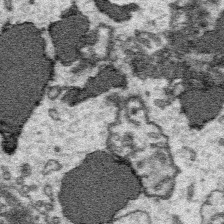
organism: Platynereis dumerilii